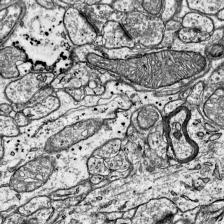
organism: Mouse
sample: Visual Cortex